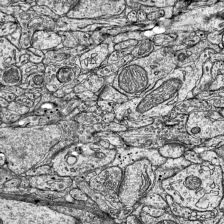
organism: Mouse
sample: Visual Cortex